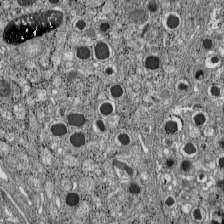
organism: C57BL Mouse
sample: Pancreatic islet